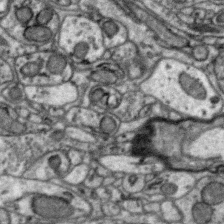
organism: Zebra finch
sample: Brain